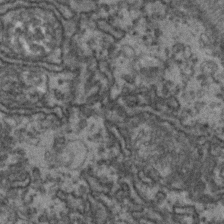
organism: Zebrafish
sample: Zebrafish embryo